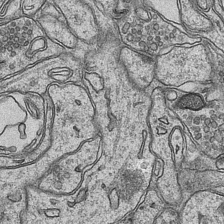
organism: Mouse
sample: CA1 Hippocampus